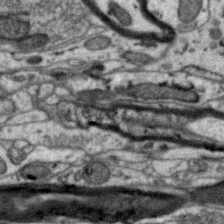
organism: Zebra finch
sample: Brain